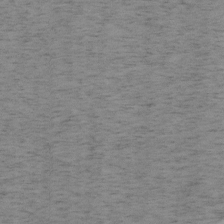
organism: Mouse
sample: OT-I killer T cells with ID8 ovarian cancer cells